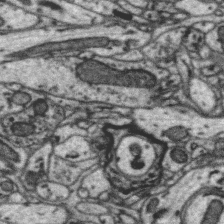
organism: Zebra finch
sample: Brain